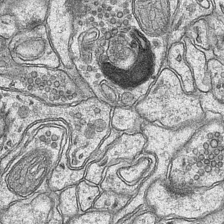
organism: Mouse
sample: CA1 Hippocampus